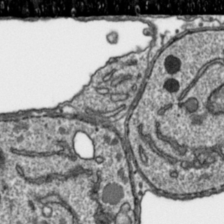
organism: Toxoplasma gondii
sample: Parasites in a vacuole inside a host cell